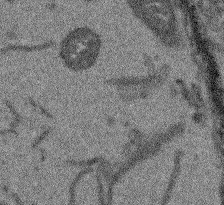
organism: Arabidopsis thaliana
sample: Root tip